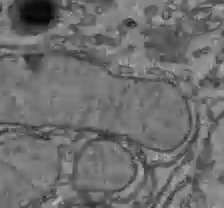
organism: C57BL Mouse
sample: Liver